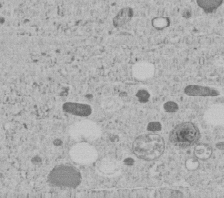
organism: C. elegans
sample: C. elegans embryo early stage